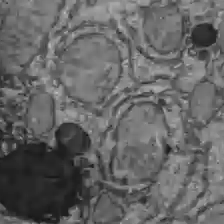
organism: C57BL Mouse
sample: Liver